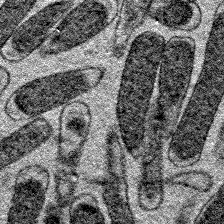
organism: E. coli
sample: E. Coli Bacteria